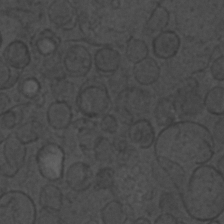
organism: C. elegans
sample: C. elegans embryo